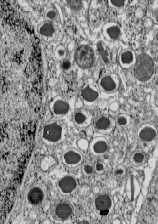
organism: C57BL Mouse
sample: Pancreatic islet